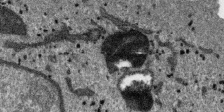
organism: Human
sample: Lung epithelial cells, uninfected (mock) control